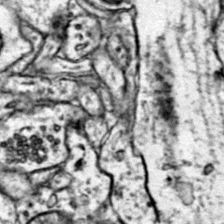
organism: Mouse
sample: Primary visual cortex